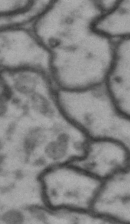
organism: Drosophila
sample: Brain